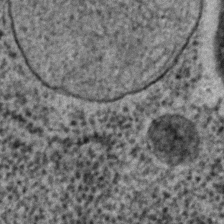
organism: C. elegans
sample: C. elegans embryo